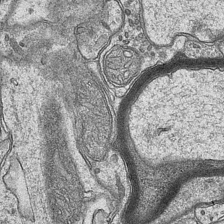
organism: Mouse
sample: CA1 Hippocampus